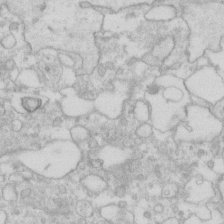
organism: Human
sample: Fibroblast cells